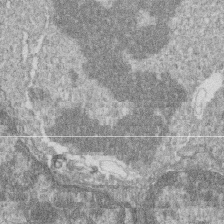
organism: Zebrafish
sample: Cilia; retinal pigment epithelium